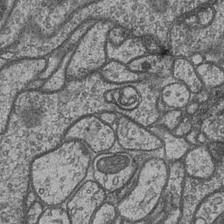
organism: Drosophila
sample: Optic medulla